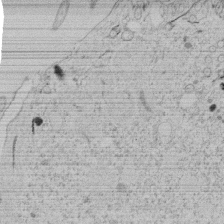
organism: Tetrahymena